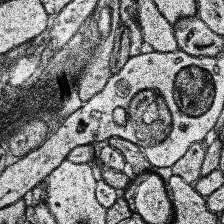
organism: Human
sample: Temporal Lobe